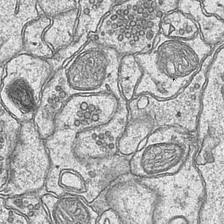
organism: Mouse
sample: CA1 Hippocampus